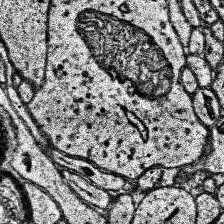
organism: Human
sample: Temporal Lobe